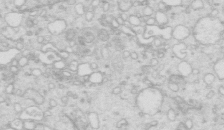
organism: Mouse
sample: Multiciliated cells